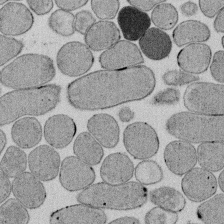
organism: E. coli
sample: Bacterial nucleoid